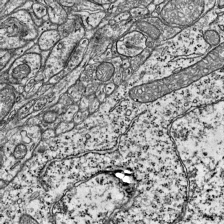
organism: Mouse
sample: Visual Cortex